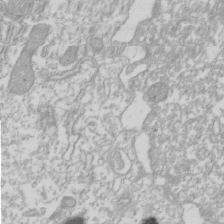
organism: Xenopus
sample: Cilia; centrioles in frog embryo cells